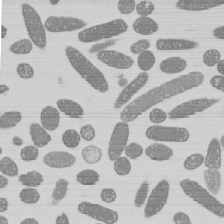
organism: E. coli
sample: Bacterial nucleoid